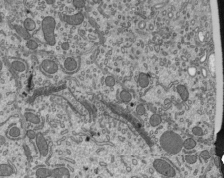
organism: Mouse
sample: Mouse epididymis efferent ductule cilia